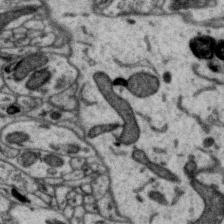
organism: Zebra finch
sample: Brain